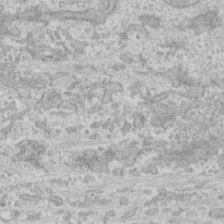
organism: Human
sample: CRL-1474